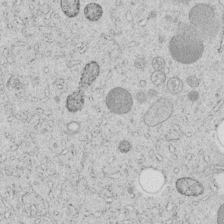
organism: C. elegans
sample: C. elegans embryo early stage